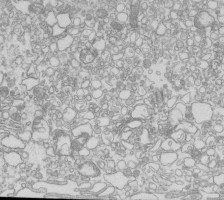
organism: Mouse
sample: Macrophages